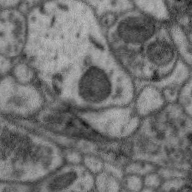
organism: Zebra finch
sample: Brain